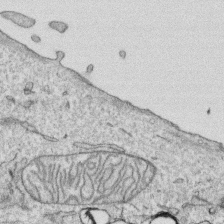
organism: Human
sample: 1205lu cells